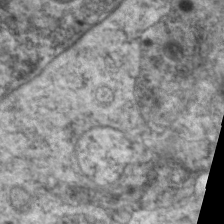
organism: C. elegans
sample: Pharynx